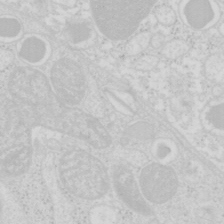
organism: Mouse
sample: Pancreas